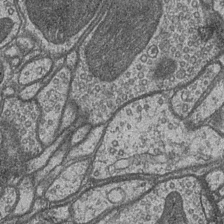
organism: Drosophila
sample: Optic medulla